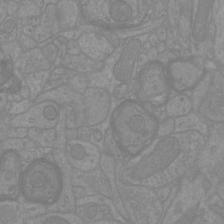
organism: Mouse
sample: Cortical neurons